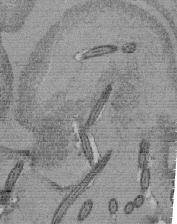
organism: Tetrahymena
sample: Cilia in tetrahymena